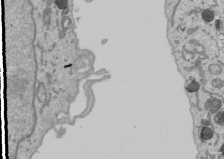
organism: Human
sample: Mitochondria in U2OS cells